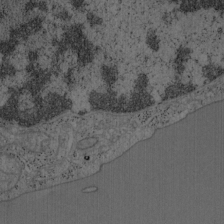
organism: Mouse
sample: OT-I killer T cells with ID8 ovarian cancer cells